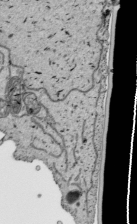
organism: Human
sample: Mitochondria in HCT116 cells